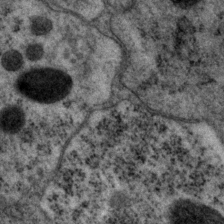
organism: P. pacificus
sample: Pharynx